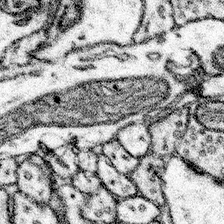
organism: Mouse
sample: Somatosensory cortex neuropil